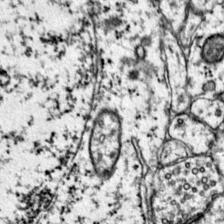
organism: Mouse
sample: Primary visual cortex